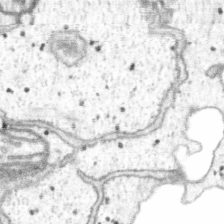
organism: Human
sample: HeLa cells